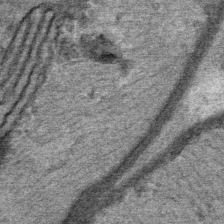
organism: Mouse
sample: Mouse Salivary gland